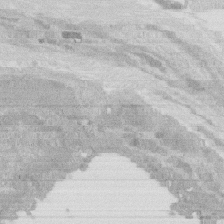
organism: Rat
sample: Salivary granule